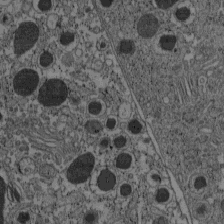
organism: C57BL Mouse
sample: Pancreatic islet